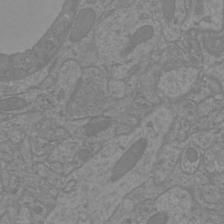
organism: Mouse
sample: Cortical neurons